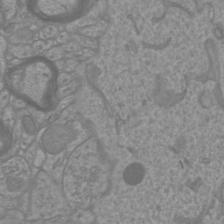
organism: Mouse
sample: Cortical neurons